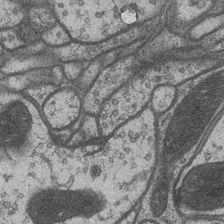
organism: Drosophila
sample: Optic medulla